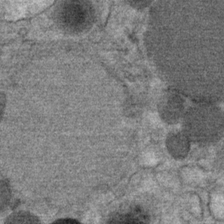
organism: Mouse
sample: Mouse Salivary gland